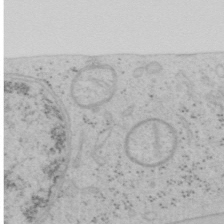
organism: Human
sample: HeLa cells